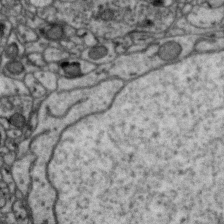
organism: Zebra finch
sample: Brain